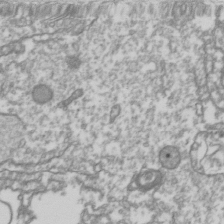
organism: Drosophila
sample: Cell division; meiosis; drosophila spermatocytes